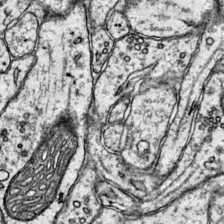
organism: Mouse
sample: Primary visual cortex